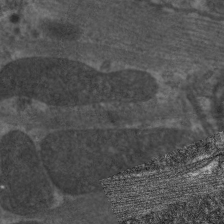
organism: C. elegans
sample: Pharynx